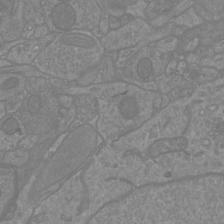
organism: Mouse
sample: Cortical neurons